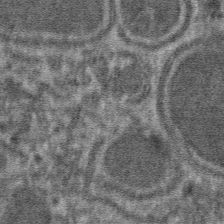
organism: Mouse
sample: Mouse hepatocytes